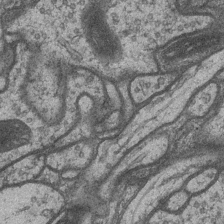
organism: Drosophila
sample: Optic medulla